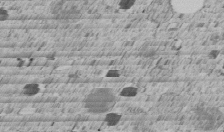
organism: C. elegans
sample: C. elegans embryo early stage